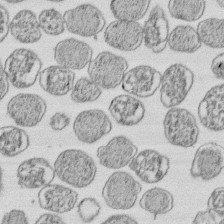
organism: E. coli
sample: Bacterial nucleoid